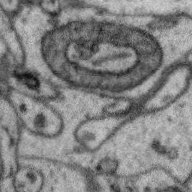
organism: Zebra finch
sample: Brain